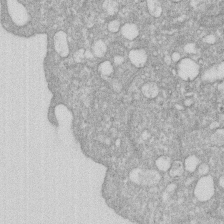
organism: Human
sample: HIV infected U937 cells